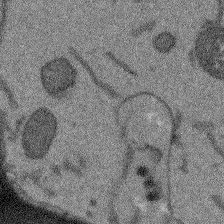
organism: Arabidopsis thaliana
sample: Root tip